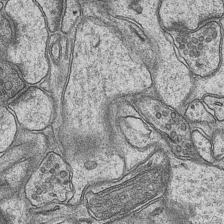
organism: Mouse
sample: CA1 Hippocampus